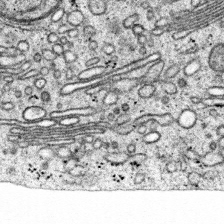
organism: Human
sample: HeLa cells